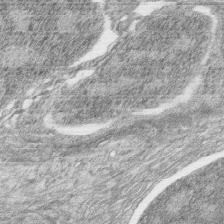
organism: Zebrafish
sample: synaptic ribbons in rod cells and cone cells